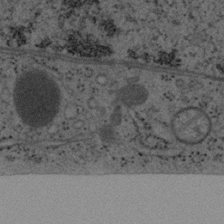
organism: Human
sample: HeLa cells